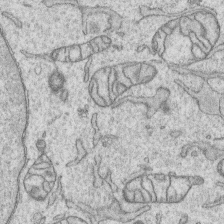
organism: Human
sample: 1205lu cells